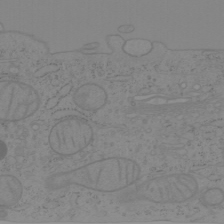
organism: Human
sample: HeLa cells